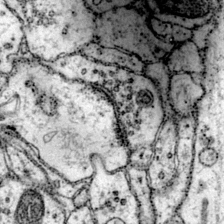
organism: Mouse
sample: Primary visual cortex